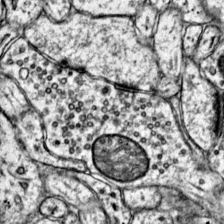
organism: Mouse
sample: Primary visual cortex